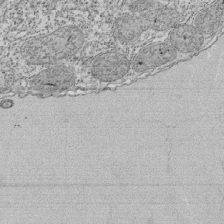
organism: Tetrahymena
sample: Cilia in tetrahymena